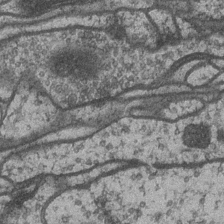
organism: Drosophila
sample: Optic medulla